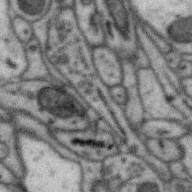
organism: Zebra finch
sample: Brain